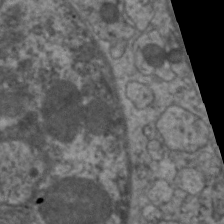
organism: C. elegans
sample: Pharynx